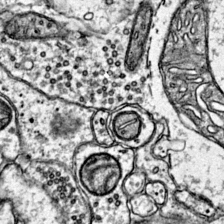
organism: Mouse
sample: Primary visual cortex